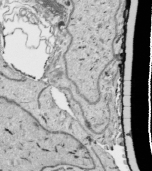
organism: Human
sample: Mitochondria in HCT116 cells